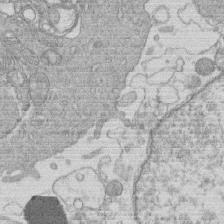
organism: Human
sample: Macrophage cells